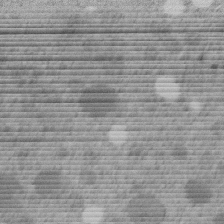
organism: C. elegans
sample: C. elegans embryo early stage